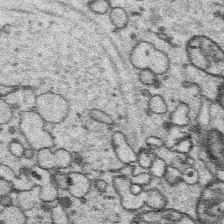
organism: Platynereis dumerilii